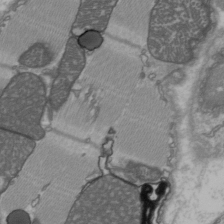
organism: C57BL Mouse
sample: Heart